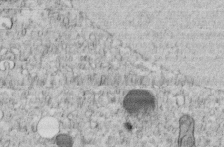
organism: C. elegans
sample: C. elegans embryo early stage